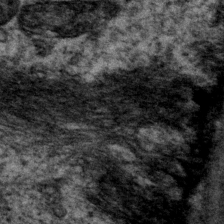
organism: P. pacificus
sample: Pharynx